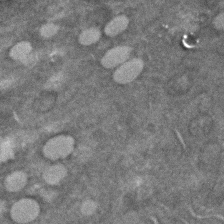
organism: C. elegans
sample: C. elegans embryo